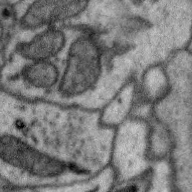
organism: Zebra finch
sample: Brain